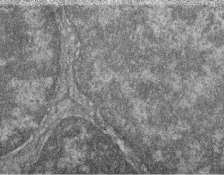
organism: Zebrafish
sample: Cilia; retinal pigment epithelium